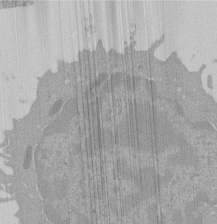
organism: Mouse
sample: Activated Pmel transgenic CD8+ T Cells